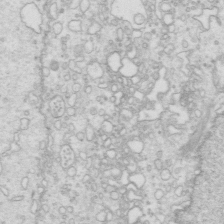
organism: Mouse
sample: Multiciliated cells